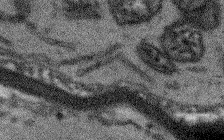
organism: Arabidopsis thaliana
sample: Root tip